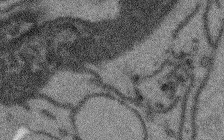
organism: Arabidopsis thaliana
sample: Root tip